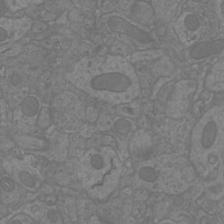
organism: Mouse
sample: Cortical neurons